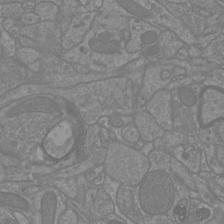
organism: Mouse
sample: Cortical neurons